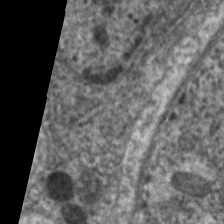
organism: C. elegans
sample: Pharynx